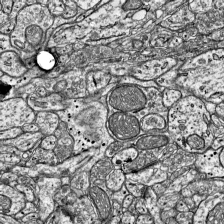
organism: Mouse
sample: Visual Cortex